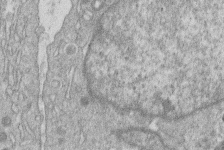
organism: Human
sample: Macrophage cells